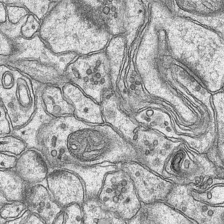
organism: Mouse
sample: CA1 Hippocampus